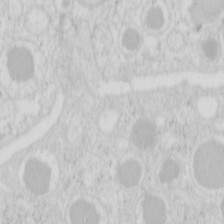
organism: Mouse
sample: Pancreas